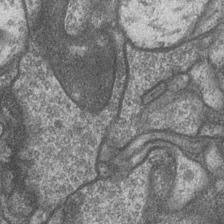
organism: Drosophila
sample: Optic medulla